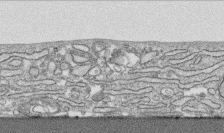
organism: Human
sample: CRL-1474